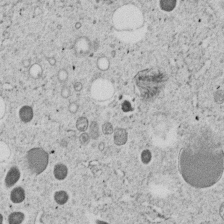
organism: C. elegans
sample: C. elegans embryo early stage